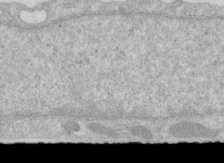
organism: Human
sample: Centriole in RPE cells